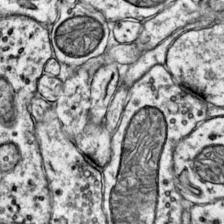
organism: Mouse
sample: Primary visual cortex